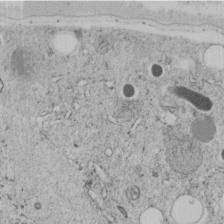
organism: C. elegans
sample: C. elegans embryo early stage